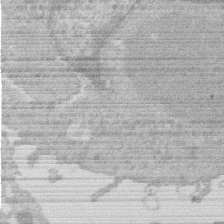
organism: Human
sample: Macrophage cells